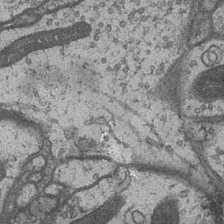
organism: Drosophila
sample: Optic medulla